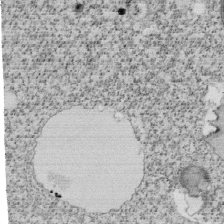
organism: Tetrahymena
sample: Cilia in tetrahymena